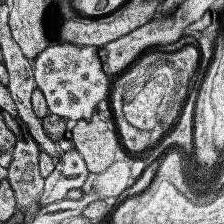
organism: Human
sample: Temporal Lobe